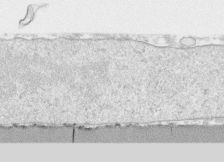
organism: Human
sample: CRL-1474